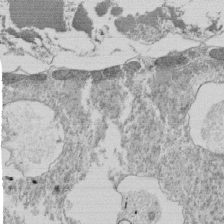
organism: Tetrahymena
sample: Cilia in tetrahymena